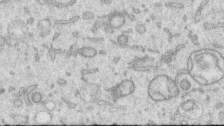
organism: Human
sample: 1205lu cells